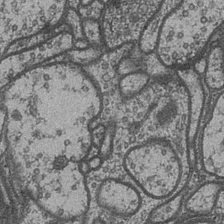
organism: Drosophila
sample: Optic medulla